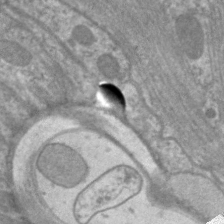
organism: C. elegans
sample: Pharynx